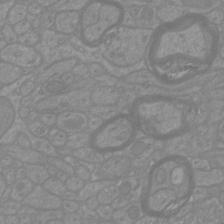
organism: Mouse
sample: Cortical neurons